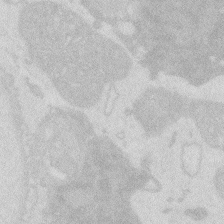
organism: Zebrafish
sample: Macrophage